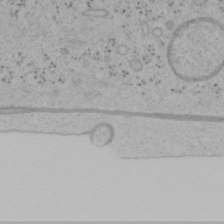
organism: Human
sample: HeLa cells